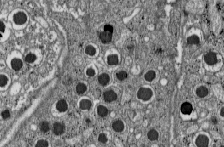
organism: C57BL Mouse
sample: Pancreatic islet